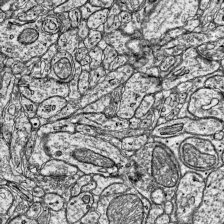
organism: Mouse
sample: Visual Cortex